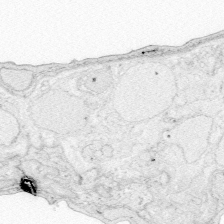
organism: Zebrafish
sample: Whole-Brain